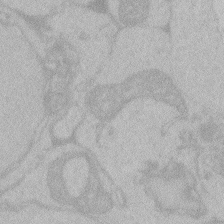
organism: Zebrafish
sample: Macrophage infected with Toxoplasma gondii